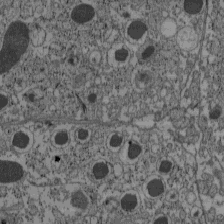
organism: C57BL Mouse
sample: Pancreatic islet